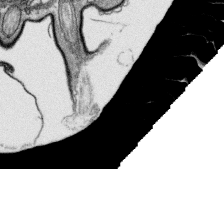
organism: Platynereis dumerilii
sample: Parapodia